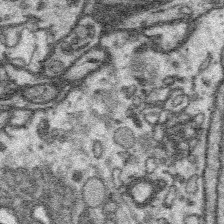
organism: Platynereis dumerilii